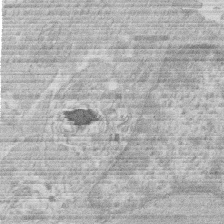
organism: Human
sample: Macrophage cells